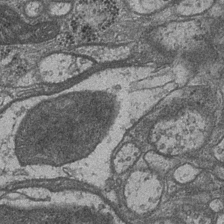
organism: Drosophila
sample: Optic medulla